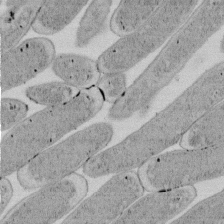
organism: E. coli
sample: Bacterial nucleoid